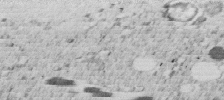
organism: C. elegans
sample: C. elegans embryo early stage